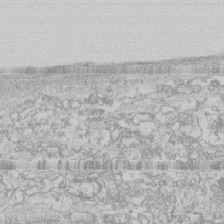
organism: Human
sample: CRL-1474